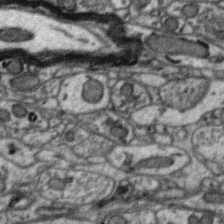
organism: Zebra finch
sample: Brain